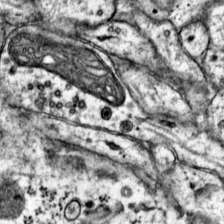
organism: Mouse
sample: Primary visual cortex